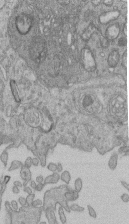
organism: Human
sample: Retinal organoid Rod and Cone cells